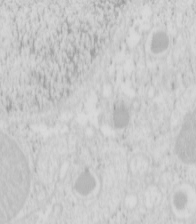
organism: Mouse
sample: Pancreas